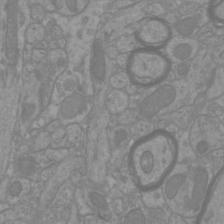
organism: Mouse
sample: Cortical neurons